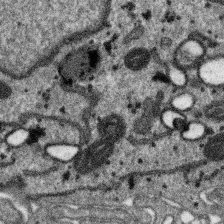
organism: Human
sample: Lung epithelial cells infected with SARS-CoV-2